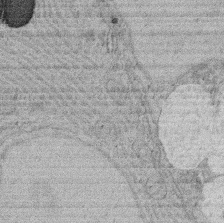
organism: Rat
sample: Salivary granule